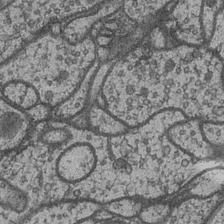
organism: Drosophila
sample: Optic medulla